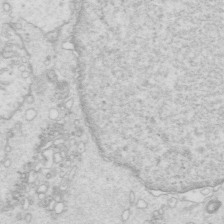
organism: Mouse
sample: Multiciliated cells